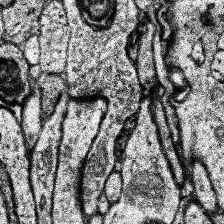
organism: Human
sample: Temporal Lobe